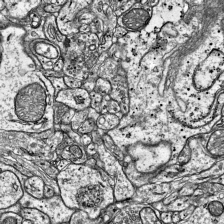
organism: Mouse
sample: Visual Cortex